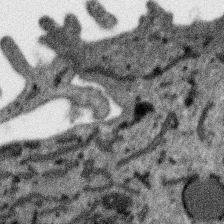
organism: Human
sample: Lung epithelial cells infected with SARS-CoV-2